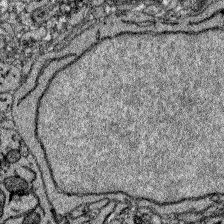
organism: Zebrafish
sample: Larval olfactory bulb